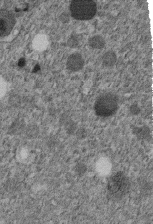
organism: C. elegans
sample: C. elegans embryo early stage